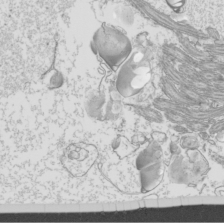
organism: Mouse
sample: Cilia; mouse epididymis